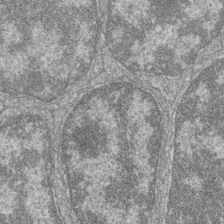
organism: Zebrafish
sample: Cilia; retinal pigment epithelium